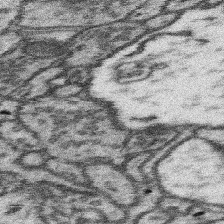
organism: Mouse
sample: Somatosensory cortex neuropil